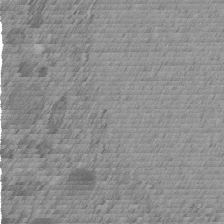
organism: C. elegans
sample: C. elegans embryo early stage